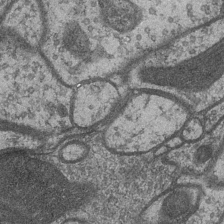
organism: Drosophila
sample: Optic medulla